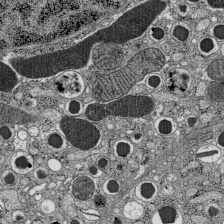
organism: C57BL Mouse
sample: Pancreatic islet